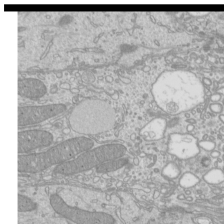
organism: Mouse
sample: Cilia; mouse epididymis